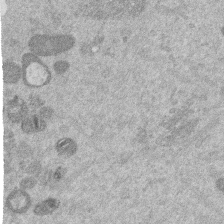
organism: Mouse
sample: Dividing mouse embryo 1 cell stage